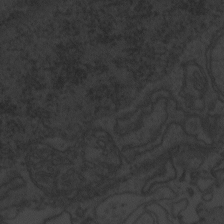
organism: Zebrafish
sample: Macrophage infected with Toxoplasma gondii